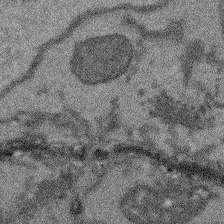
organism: Arabidopsis thaliana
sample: Root tip